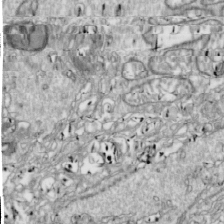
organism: Drosophila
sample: Cell division; meiosis; drosophila spermatocytes